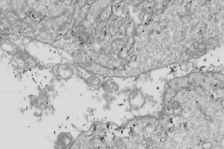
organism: Drosophila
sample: Cell division; meiosis; drosophila spermatocytes